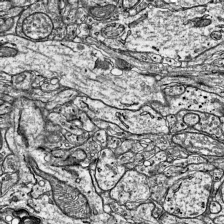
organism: Mouse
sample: Visual Cortex